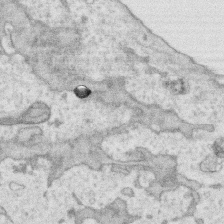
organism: Human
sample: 1205lu cells